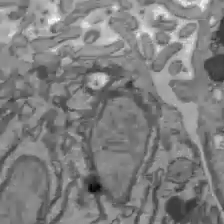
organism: C57BL Mouse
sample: Liver